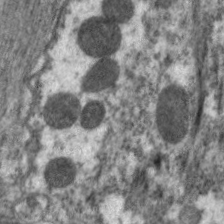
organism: C. elegans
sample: Pharynx